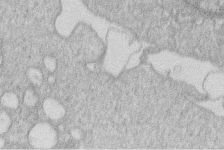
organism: Human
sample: Macrophage cells